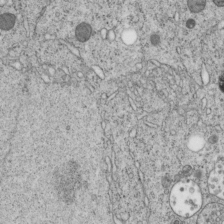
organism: C. elegans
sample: C. elegans embryo early stage